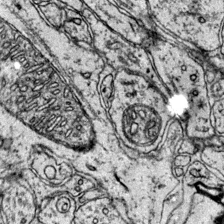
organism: Mouse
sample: Primary visual cortex